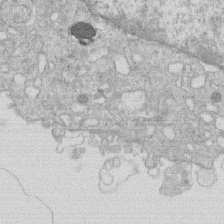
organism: Human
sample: Macrophage cells